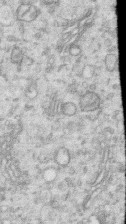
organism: Human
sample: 1205lu cells